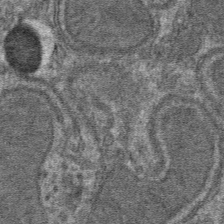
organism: Mouse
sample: Mouse hepatocytes